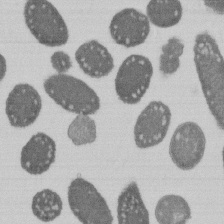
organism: E. coli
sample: Bacterial nucleoid